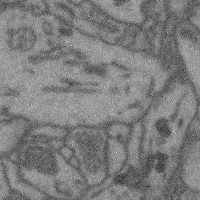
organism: Mouse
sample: Cerebral cortex